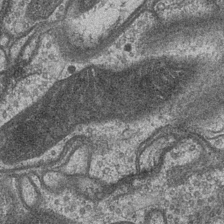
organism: Drosophila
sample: Optic medulla